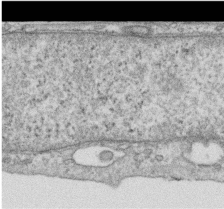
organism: Human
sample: Centriole in RPE cells